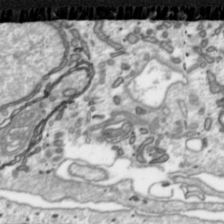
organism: Toxoplasma gondii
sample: Parasites in a vacuole inside a host cell